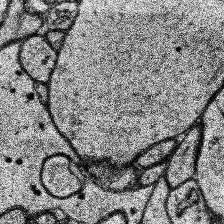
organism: Human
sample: Temporal Lobe